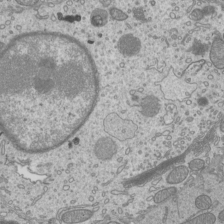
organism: Mouse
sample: Cilia; mouse epididymis